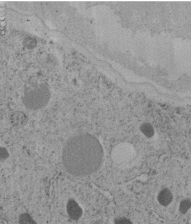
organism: C. elegans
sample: C. elegans embryo early stage